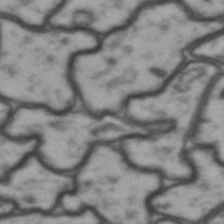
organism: Drosophila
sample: Brain